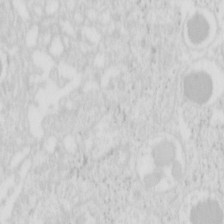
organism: Mouse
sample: Pancreas